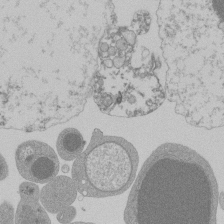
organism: Mouse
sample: Activated Pmel transgenic CD8+ T Cells